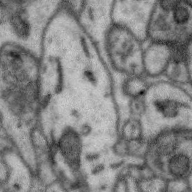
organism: Zebra finch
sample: Brain